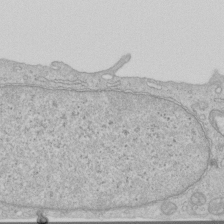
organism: Human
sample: Centriole in RPE cells